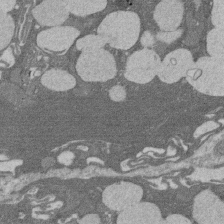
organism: Rat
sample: Salivary granule